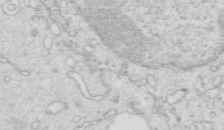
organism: Mouse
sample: Multiciliated cells